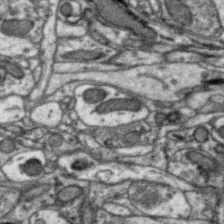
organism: Zebra finch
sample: Brain